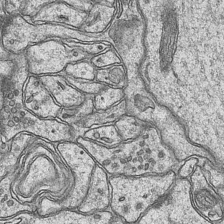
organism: Mouse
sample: CA1 Hippocampus